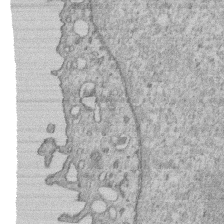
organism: Human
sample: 1205lu cells